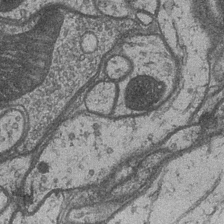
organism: Drosophila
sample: Optic medulla